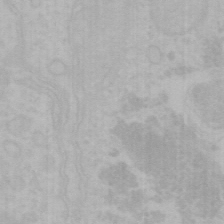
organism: Mouse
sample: Choroid plexus